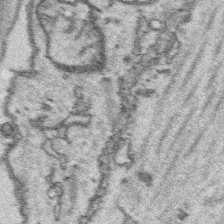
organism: Platynereis dumerilii